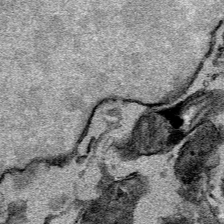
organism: Mouse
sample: Cancer cell death in ED-1 cells